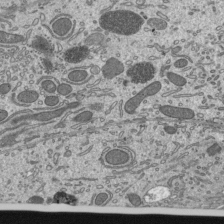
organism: Mouse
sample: Mouse epididymis efferent ductule cilia